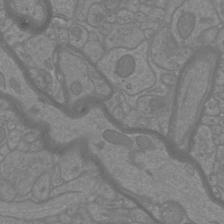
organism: Mouse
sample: Cortical neurons